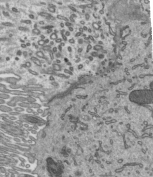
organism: Mouse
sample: Mouse epididymis efferent ductule cilia